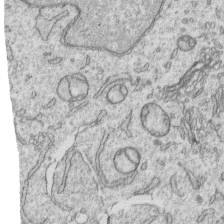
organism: Human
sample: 1205lu cells